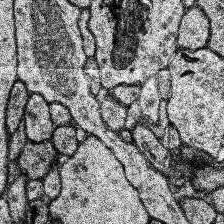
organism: Human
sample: Temporal Lobe